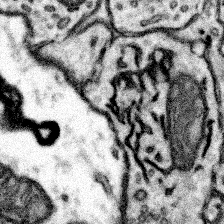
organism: Mouse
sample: Somatosensory cortex neuropil